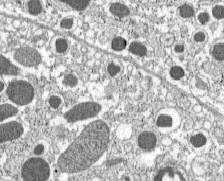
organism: C57BL Mouse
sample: Pancreatic islet